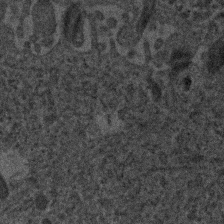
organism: Human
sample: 1205lu cells